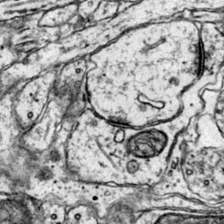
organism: Mouse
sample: Primary visual cortex